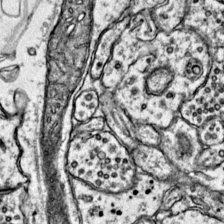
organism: Mouse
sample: Primary visual cortex